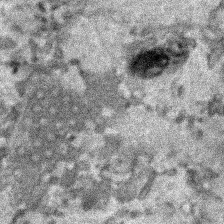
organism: Human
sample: Mitochondria in HCT116 cells